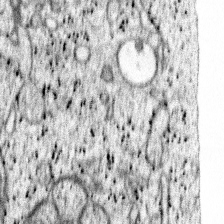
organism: Human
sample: HeLa cells